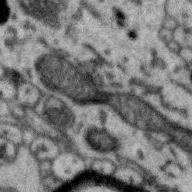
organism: Zebra finch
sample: Brain